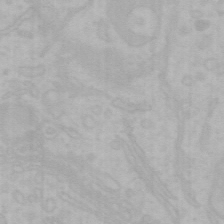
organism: Mouse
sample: Choroid plexus